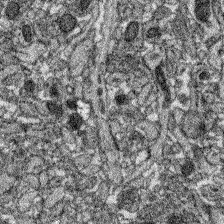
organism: Zebrafish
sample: Larval olfactory bulb